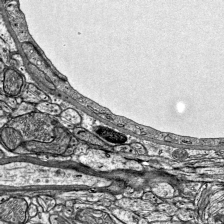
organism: Mouse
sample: Visual Cortex